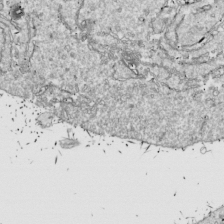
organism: Drosophila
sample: Cell division; meiosis; drosophila spermatocytes